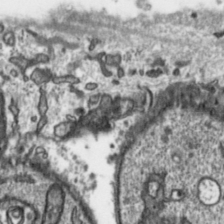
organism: Toxoplasma gondii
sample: Parasites in a vacuole inside a host cell